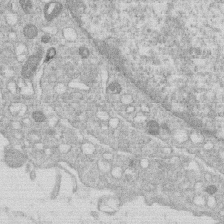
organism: Human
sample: Macrophage cells